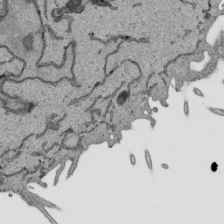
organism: Human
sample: Mitochondria in HCT116 cells